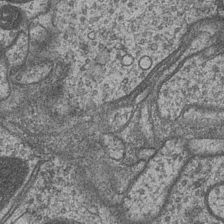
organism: Drosophila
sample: Optic medulla